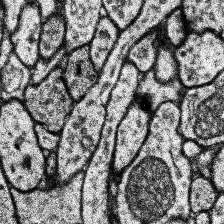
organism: Human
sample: Temporal Lobe